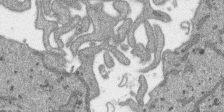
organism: Human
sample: Lung epithelial cells infected with SARS-CoV-2